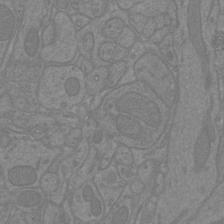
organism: Mouse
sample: Cortical neurons